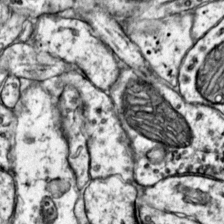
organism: Mouse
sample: Primary visual cortex